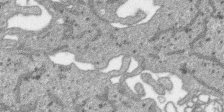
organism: Human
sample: Lung epithelial cells infected with SARS-CoV-2